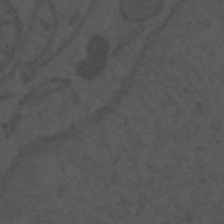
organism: Mouse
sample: Suprachiasmatic nucleus